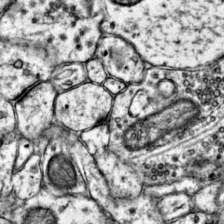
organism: Mouse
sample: Primary visual cortex